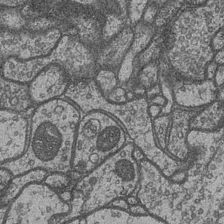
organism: Drosophila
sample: Optic medulla